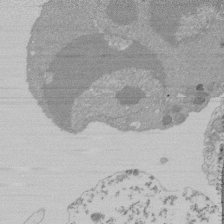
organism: Mouse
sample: Activated Pmel transgenic CD8+ T Cells